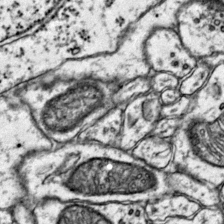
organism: Mouse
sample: Primary visual cortex